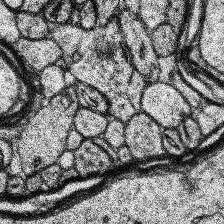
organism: Human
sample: Temporal Lobe